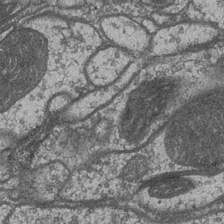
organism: Drosophila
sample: Optic medulla